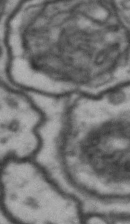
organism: Drosophila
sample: Brain